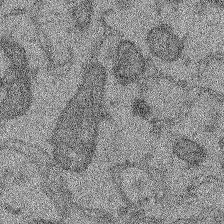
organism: Human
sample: HeLa cells